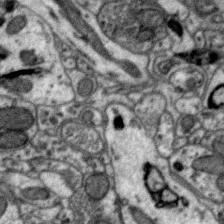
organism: Zebra finch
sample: Brain